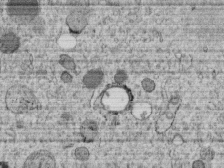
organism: C. elegans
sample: C. elegans embryo early stage